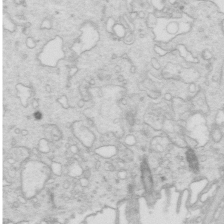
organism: Mouse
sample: Multiciliated cells